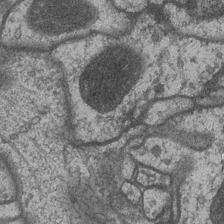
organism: Drosophila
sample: Optic medulla